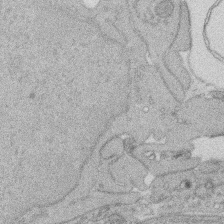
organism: Rat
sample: Salivary granule